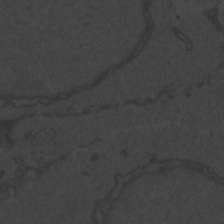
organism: Zebrafish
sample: Macrophage infected with Toxoplasma gondii